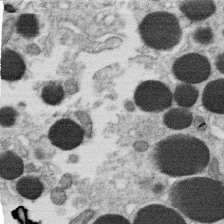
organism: C. elegans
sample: C. elegans oocyte; sperm cells